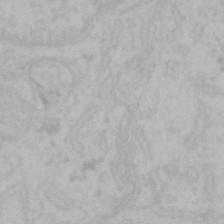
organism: Mouse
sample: Choroid plexus